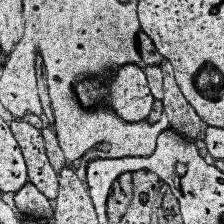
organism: Human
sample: Temporal Lobe